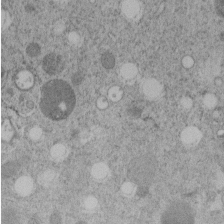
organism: C. elegans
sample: C. elegans embryo early stage